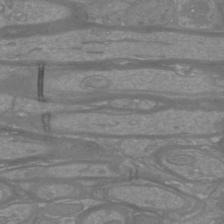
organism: Mouse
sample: Cortical neurons